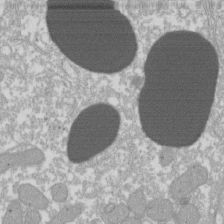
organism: Xenopus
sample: Cilia; centrioles in frog embryo cells